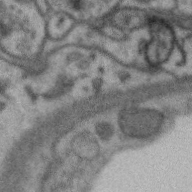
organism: Zebra finch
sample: Brain